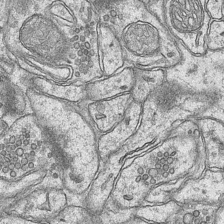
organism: Mouse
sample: CA1 Hippocampus